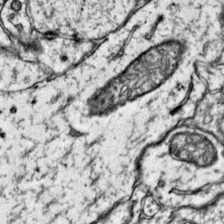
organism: Mouse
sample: Primary visual cortex